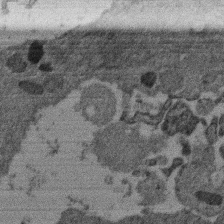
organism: Mouse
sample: Dividing mouse embryo 1 cell stage